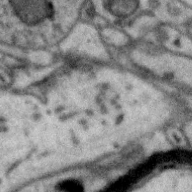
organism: Zebra finch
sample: Brain